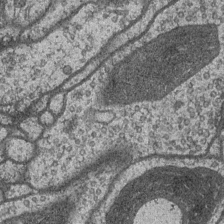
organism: Drosophila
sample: Optic medulla